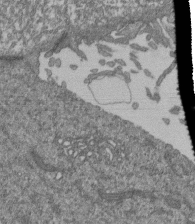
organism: Human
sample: Retinal organoid Rod and Cone cells